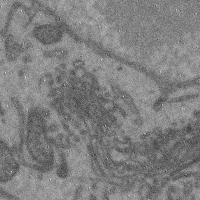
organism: Mouse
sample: Cerebral cortex